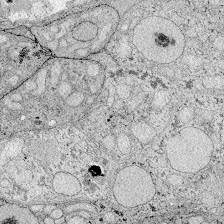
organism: Zebrafish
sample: Whole-Brain